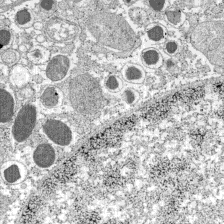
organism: C57BL Mouse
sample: Pancreatic islet